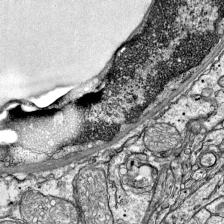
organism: Mouse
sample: Visual Cortex